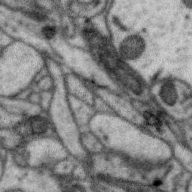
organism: Zebra finch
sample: Brain